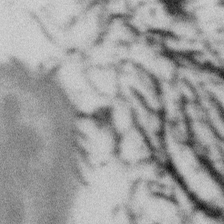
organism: Gemmata obscuriglobus